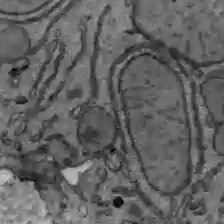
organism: C57BL Mouse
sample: Liver